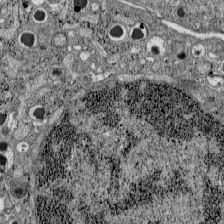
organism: C57BL Mouse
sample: Pancreatic islet